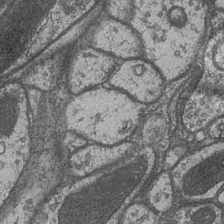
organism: Drosophila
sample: Optic medulla